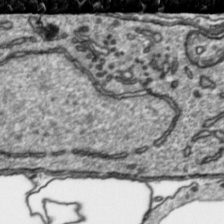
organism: Toxoplasma gondii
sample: Parasites in a vacuole inside a host cell